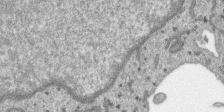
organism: Human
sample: Lung epithelial cells infected with SARS-CoV-2